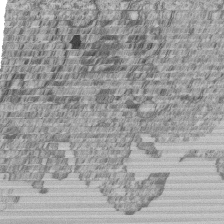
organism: Human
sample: MDA-MB-231 cells